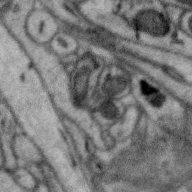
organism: Zebra finch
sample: Brain